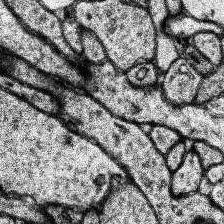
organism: Human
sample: Temporal Lobe